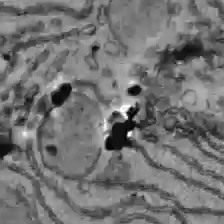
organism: C57BL Mouse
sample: Liver